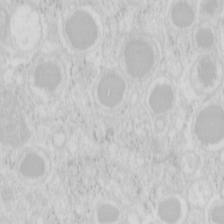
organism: Mouse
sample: Pancreas